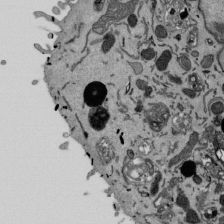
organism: Mouse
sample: ED-1 cell nuclei; centrioles